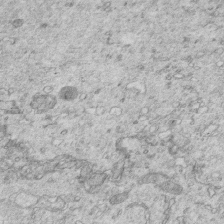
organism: Mouse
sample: Multiciliated cells